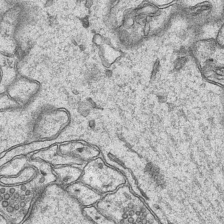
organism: Mouse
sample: CA1 Hippocampus